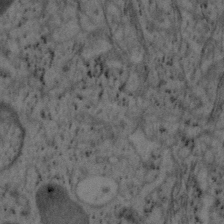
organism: Human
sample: HeLa cells